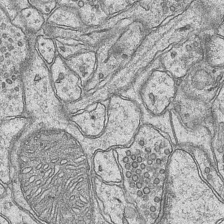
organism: Mouse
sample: CA1 Hippocampus